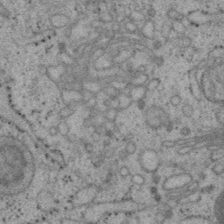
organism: Human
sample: HeLa cells